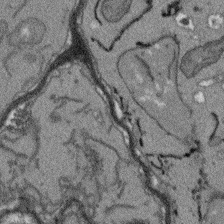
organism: Arabidopsis thaliana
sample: Root tip